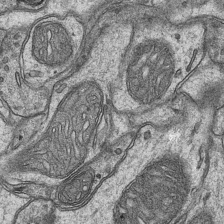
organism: Mouse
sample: CA1 Hippocampus